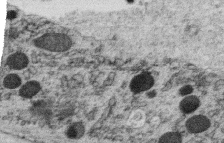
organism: C. elegans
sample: C. elegans oocyte; sperm cells